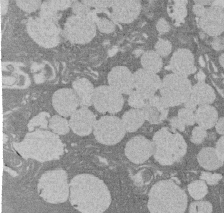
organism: Rat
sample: Salivary granule